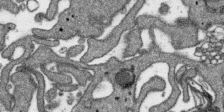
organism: Human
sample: Lung epithelial cells, uninfected (mock) control